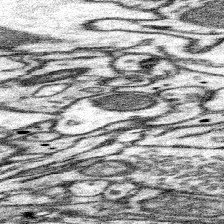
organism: Mouse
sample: Somatosensory cortex neuropil